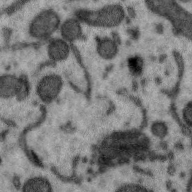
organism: Zebra finch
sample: Brain